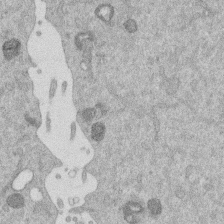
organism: Mouse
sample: Dividing mouse embryo 1 cell stage